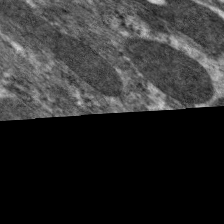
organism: C. elegans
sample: Pharynx